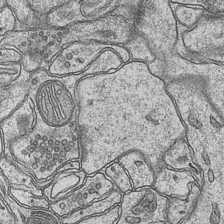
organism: Mouse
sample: CA1 Hippocampus